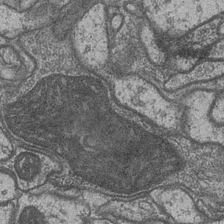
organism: Drosophila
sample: Optic medulla